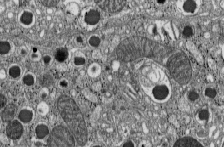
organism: C57BL Mouse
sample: Pancreatic islet